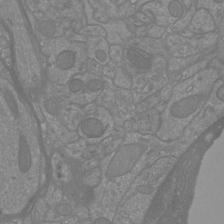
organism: Mouse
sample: Cortical neurons